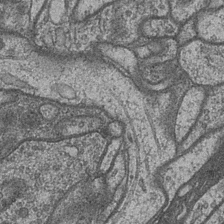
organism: Drosophila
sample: Optic medulla